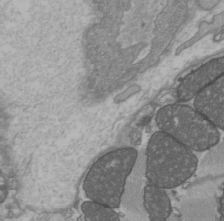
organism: C57BL Mouse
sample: Heart